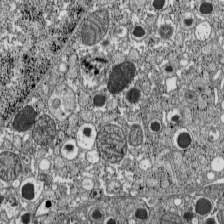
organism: C57BL Mouse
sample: Pancreatic islet